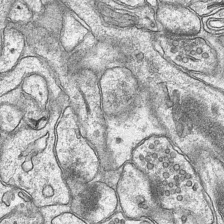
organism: Mouse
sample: CA1 Hippocampus